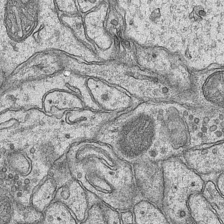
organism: Mouse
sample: CA1 Hippocampus